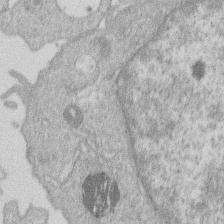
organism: Human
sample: Macrophage cells